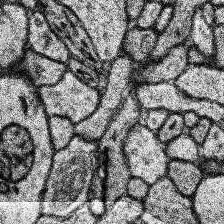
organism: Human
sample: Temporal Lobe